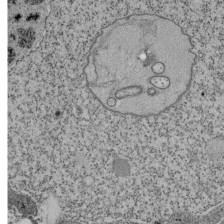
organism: Tetrahymena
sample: Cilia in tetrahymena